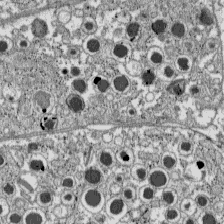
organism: C57BL Mouse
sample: Pancreatic islet